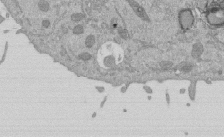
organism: Mouse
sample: ED-1 cell nuclei; centrioles